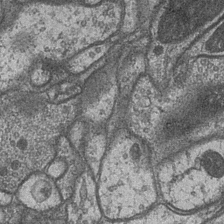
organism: Drosophila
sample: Optic medulla